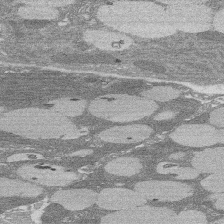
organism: Rat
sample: Salivary granule